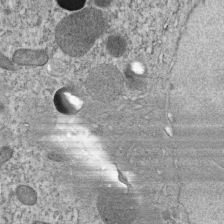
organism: C. elegans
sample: C. elegans embryo early stage